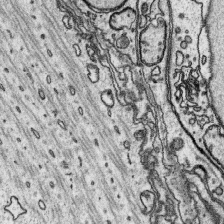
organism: Platynereis dumerilii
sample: Parapodia